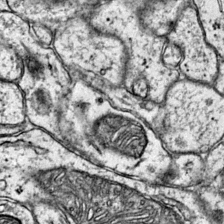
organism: Mouse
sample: Primary visual cortex